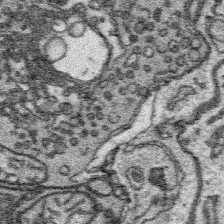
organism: Platynereis dumerilii